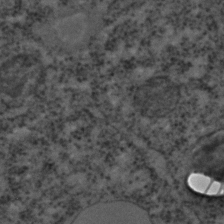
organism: C. elegans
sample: C. elegans embryo